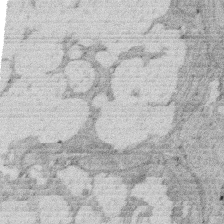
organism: Rat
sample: Salivary granule